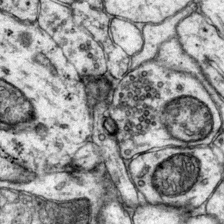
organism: Mouse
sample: Primary visual cortex